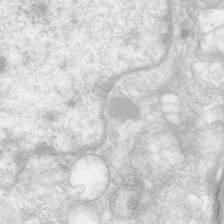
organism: Human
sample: Neocortex